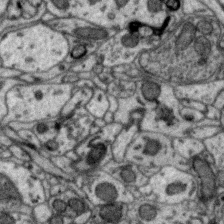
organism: Zebra finch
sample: Brain